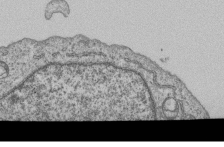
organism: Human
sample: MDA-MB-231 cells